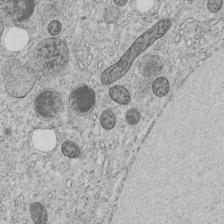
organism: C. elegans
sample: C. elegans embryo early stage